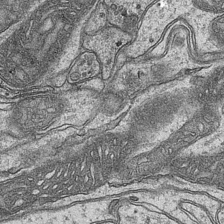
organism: Mouse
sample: CA1 Hippocampus